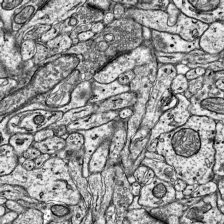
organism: Mouse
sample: Visual Cortex